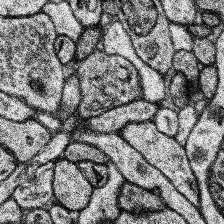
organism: Human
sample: Temporal Lobe